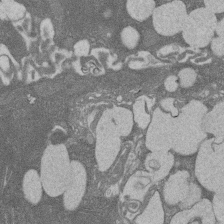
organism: Rat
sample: Salivary granule